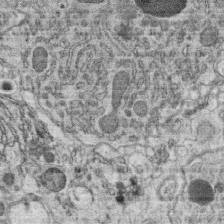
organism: C. elegans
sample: C. elegans oocyte; sperm cells